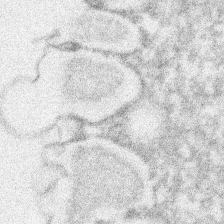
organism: Xenopus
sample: Cilia; centrioles in frog embryo cells